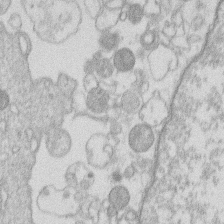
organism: Human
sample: Macrophage cells